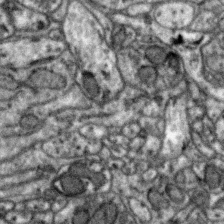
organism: Zebra finch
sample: Brain